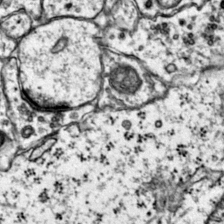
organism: Mouse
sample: Primary visual cortex